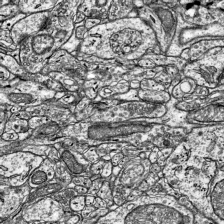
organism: Mouse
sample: Visual Cortex